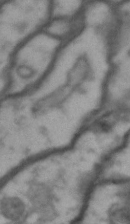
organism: Drosophila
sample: Brain